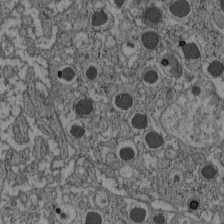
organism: C57BL Mouse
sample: Pancreatic islet